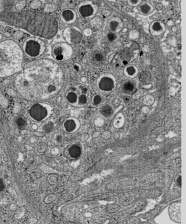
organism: C57BL Mouse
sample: Pancreatic islet